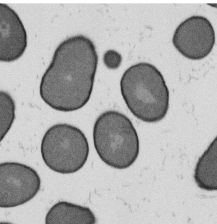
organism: B. subtilis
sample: Bacterial spore